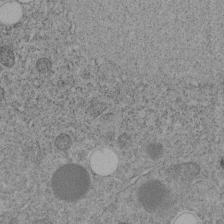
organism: C. elegans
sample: C. elegans embryo early stage